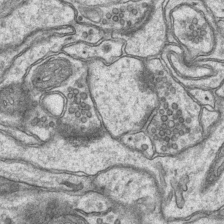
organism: Mouse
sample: CA1 Hippocampus